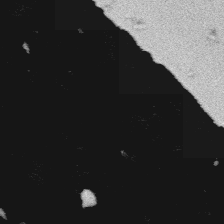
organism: Platynereis dumerilii